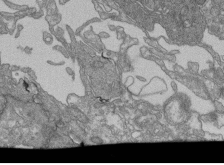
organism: Human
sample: Retinal organoid Rod and Cone cells